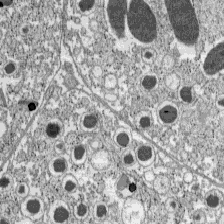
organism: C57BL Mouse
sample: Pancreatic islet